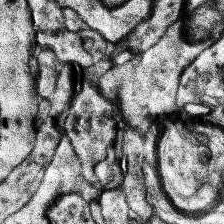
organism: Human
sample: Temporal Lobe